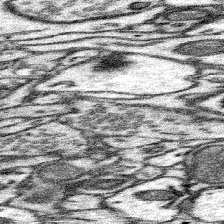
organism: Mouse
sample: Somatosensory cortex neuropil